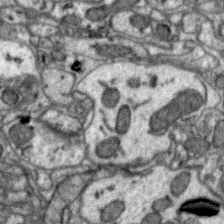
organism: Zebra finch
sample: Brain